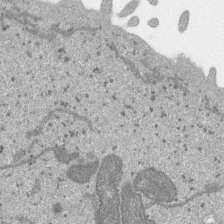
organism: Human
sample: Lung epithelial cells infected with SARS-CoV-2